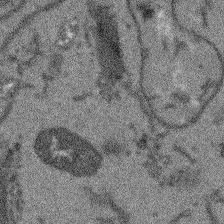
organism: Arabidopsis thaliana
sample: Root tip